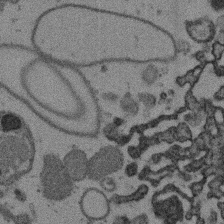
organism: Mouse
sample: Dividing mouse embryo 1 cell stage